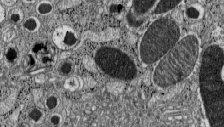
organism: C57BL Mouse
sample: Pancreatic islet